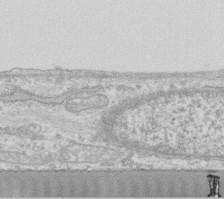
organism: Human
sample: Fibroblast cells